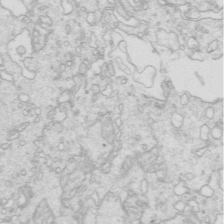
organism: Mouse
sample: Multiciliated cells